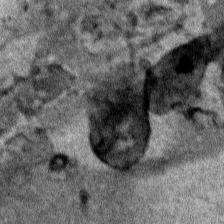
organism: Human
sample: Mitochondria in HCT116 cells